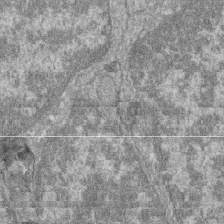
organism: Zebrafish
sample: Cilia; retinal pigment epithelium